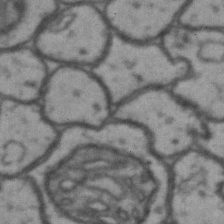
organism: Drosophila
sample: Brain